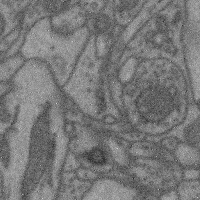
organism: Mouse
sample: Cerebral cortex